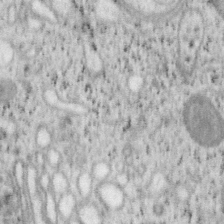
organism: Mouse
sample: OT-I killer T cells with ID8 ovarian cancer cells